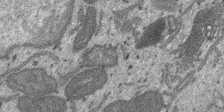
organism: Human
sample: Lung epithelial cells infected with SARS-CoV-2